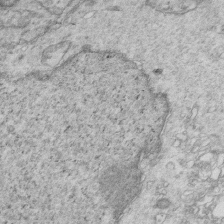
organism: Mouse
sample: Multiciliated cells